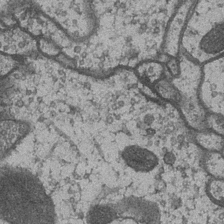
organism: Drosophila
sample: Optic medulla